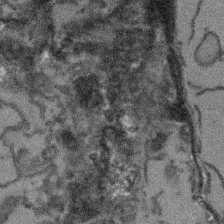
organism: Arabidopsis thaliana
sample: Root tip